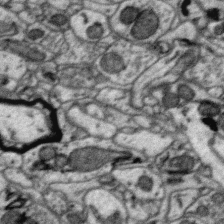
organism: Zebra finch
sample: Brain